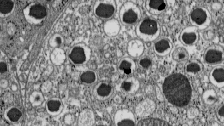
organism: C57BL Mouse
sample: Pancreatic islet